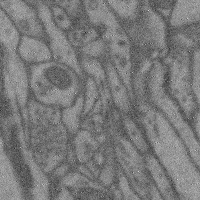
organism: Mouse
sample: Cerebral cortex